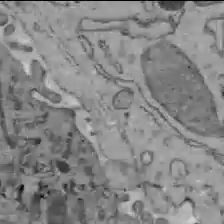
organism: C57BL Mouse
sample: Liver